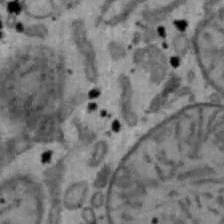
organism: Mouse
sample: Liver